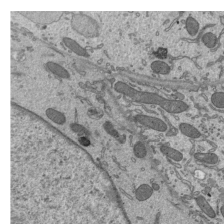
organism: Mouse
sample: Mouse epididymis efferent ductule cilia